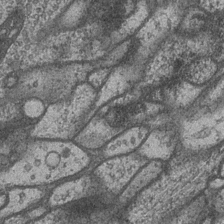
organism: Drosophila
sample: Optic medulla